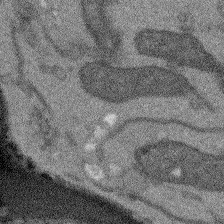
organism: Arabidopsis thaliana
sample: Root tip